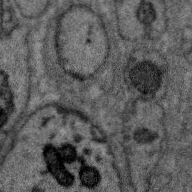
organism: Zebra finch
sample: Brain